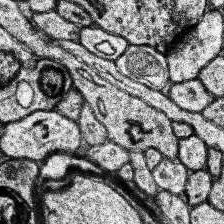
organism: Human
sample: Temporal Lobe